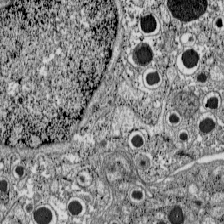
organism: C57BL Mouse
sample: Pancreatic islet